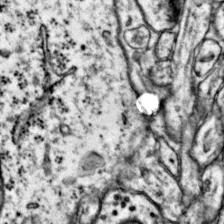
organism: Mouse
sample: Primary visual cortex